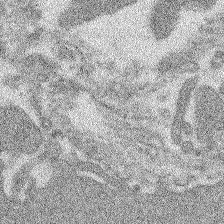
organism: Human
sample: HeLa cells